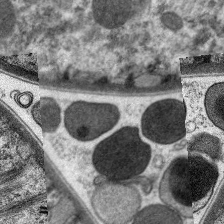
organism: C. elegans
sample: Pharynx